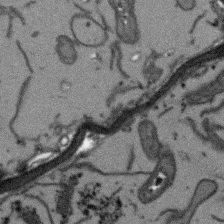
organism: Arabidopsis thaliana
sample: Root tip